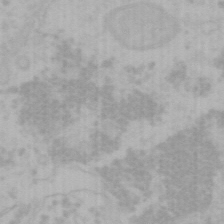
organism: Mouse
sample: Choroid plexus